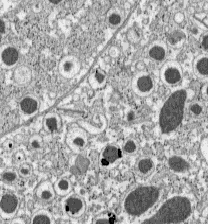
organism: C57BL Mouse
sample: Pancreatic islet